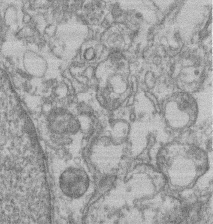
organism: Mouse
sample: T cell stromal cell synapse